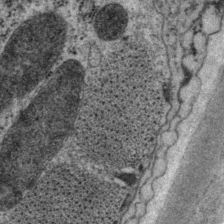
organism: P. pacificus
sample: Pharynx